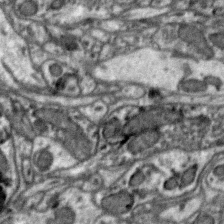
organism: Zebra finch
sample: Brain